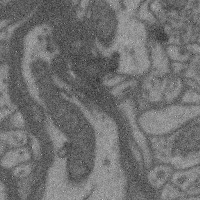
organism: Mouse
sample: Cerebral cortex